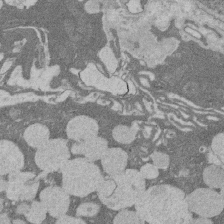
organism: Rat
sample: Salivary granule